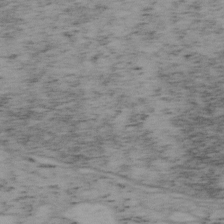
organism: Mouse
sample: OT-I killer T cells with ID8 ovarian cancer cells